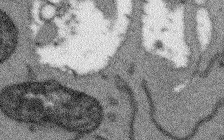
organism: Arabidopsis thaliana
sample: Root tip